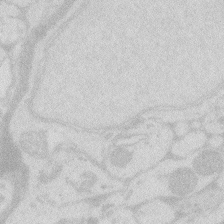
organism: Zebrafish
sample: Macrophage